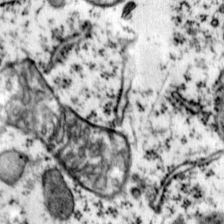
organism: Mouse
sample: Primary visual cortex